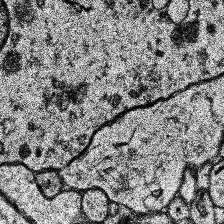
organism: Human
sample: Temporal Lobe